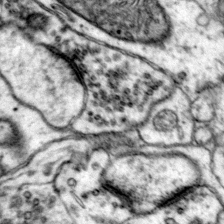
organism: Mouse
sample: Primary visual cortex